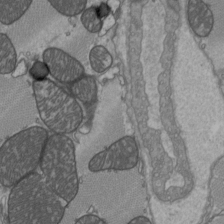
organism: C57BL Mouse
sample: Heart